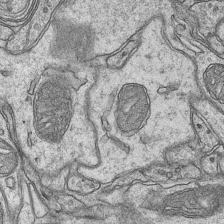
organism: Mouse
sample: CA1 Hippocampus